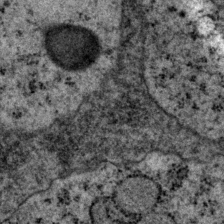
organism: P. pacificus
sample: Pharynx